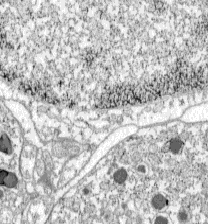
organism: C57BL Mouse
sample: Pancreatic islet